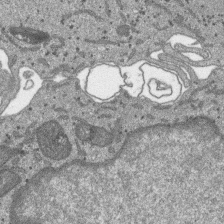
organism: Human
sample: Lung epithelial cells infected with SARS-CoV-2